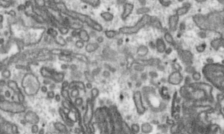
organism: Toxoplasma gondii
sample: Parasites in a vacuole inside a host cell